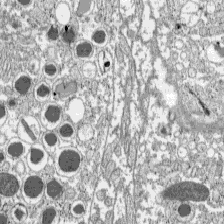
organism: C57BL Mouse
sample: Pancreatic islet